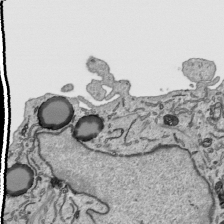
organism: Human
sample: Mitochondria in HCT116 cells